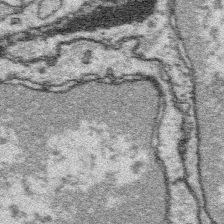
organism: Platynereis dumerilii